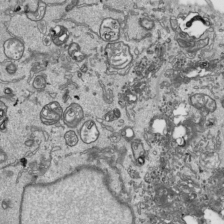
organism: Human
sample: Mitochondria in HCT116 cells